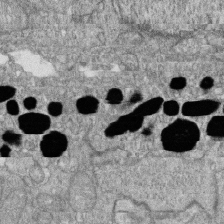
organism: Zebrafish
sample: Cilia; retinal pigment epithelium